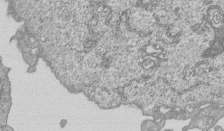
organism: Human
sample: MDA-MB-231 cells